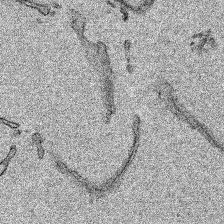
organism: Human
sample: Mitochondria in HCT116 cells